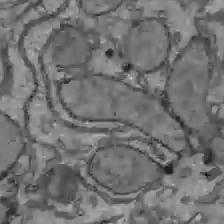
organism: C57BL Mouse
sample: Liver